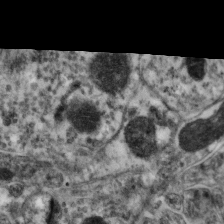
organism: Mouse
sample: Neocortex